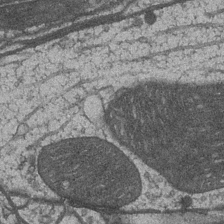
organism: Drosophila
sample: Optic medulla